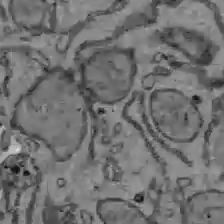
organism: C57BL Mouse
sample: Liver